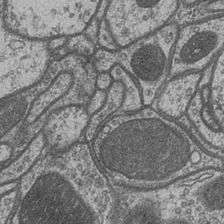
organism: Drosophila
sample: Optic medulla